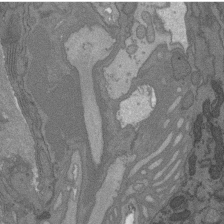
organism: C. elegans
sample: AFD neurons C. elegans